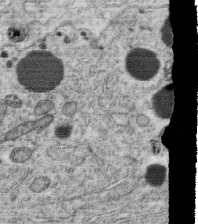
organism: C. elegans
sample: C. elegans oocyte; sperm cells